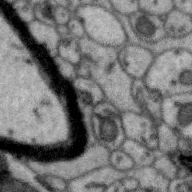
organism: Zebra finch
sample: Brain